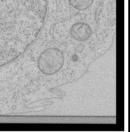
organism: Human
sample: Mitochondria in HCT116 cells